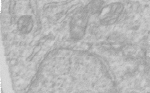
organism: Human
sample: Centriole in RPE cells